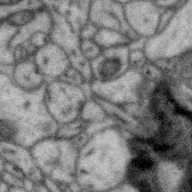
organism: Zebra finch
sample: Brain